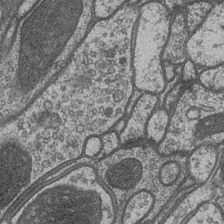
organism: Drosophila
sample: Optic medulla